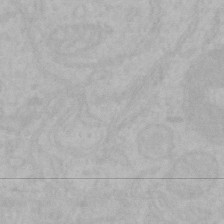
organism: Mouse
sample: Choroid plexus